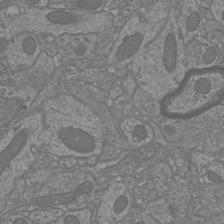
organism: Mouse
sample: Cortical neurons